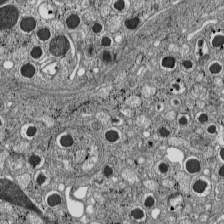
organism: C57BL Mouse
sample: Pancreatic islet